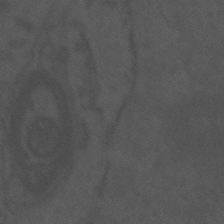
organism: Mouse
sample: Suprachiasmatic nucleus